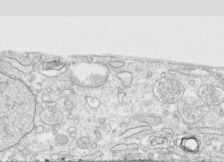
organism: Human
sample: CRL-1474